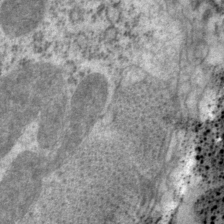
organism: P. pacificus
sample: Pharynx